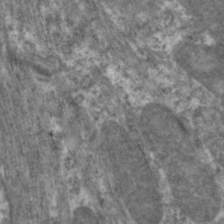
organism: C. elegans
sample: Pharynx